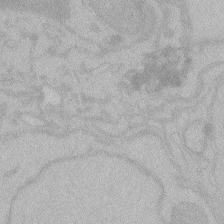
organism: Zebrafish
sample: Macrophage infected with Toxoplasma gondii